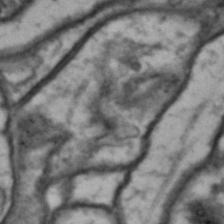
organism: Drosophila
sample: Brain